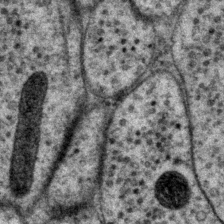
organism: P. pacificus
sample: Pharynx